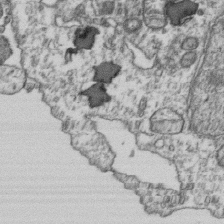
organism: Human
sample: Activated Jurkat CD4+ T cells